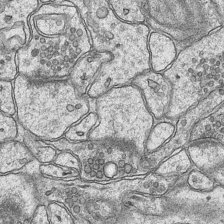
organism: Mouse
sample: CA1 Hippocampus